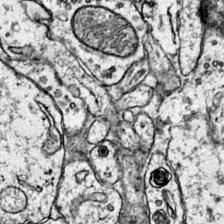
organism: Mouse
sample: Primary visual cortex